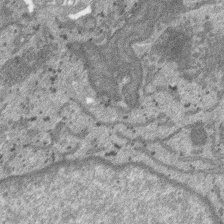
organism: Human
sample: Lung epithelial cells infected with SARS-CoV-2